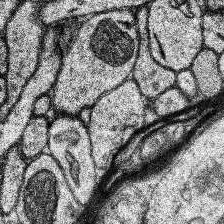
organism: Human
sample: Temporal Lobe